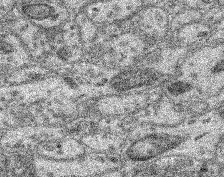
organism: Mouse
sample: Retina